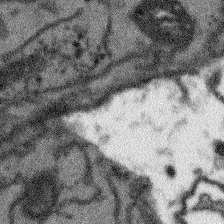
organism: Arabidopsis thaliana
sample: Root tip